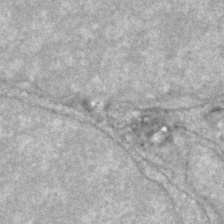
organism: Zebrafish